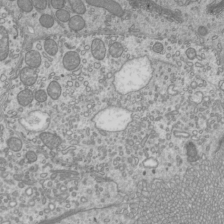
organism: Mouse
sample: Cilia; mouse epididymis